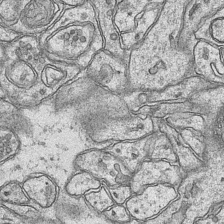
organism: Mouse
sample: CA1 Hippocampus